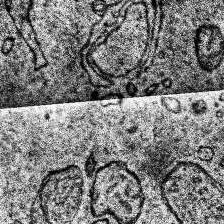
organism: Human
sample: Temporal Lobe